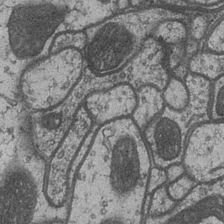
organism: Drosophila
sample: Optic medulla